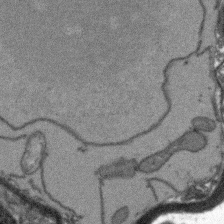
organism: Arabidopsis thaliana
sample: Root tip